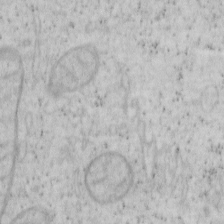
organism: Human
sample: HeLa cells